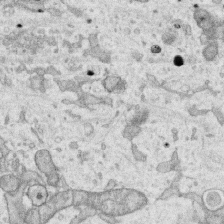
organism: Human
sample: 1205lu cells